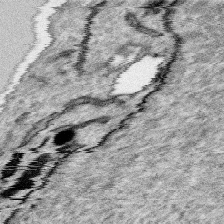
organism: Human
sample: HeLa cells